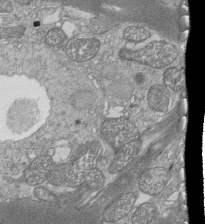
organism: Tetrahymena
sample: Cilia in tetrahymena